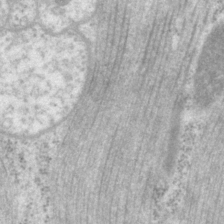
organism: P. pacificus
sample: Pharynx